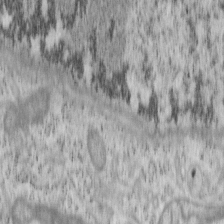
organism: Human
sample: HeLa cells